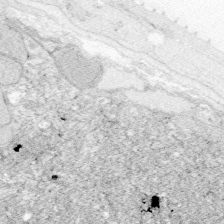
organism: Zebrafish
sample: Whole-Brain